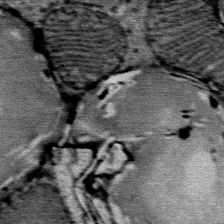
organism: Mouse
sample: Mouse Salivary gland